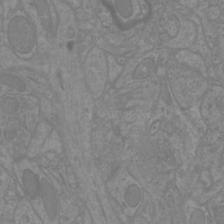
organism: Mouse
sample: Cortical neurons